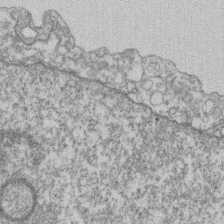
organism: Mouse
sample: T cell stromal cell synapse